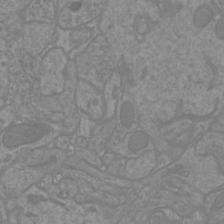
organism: Mouse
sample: Cortical neurons